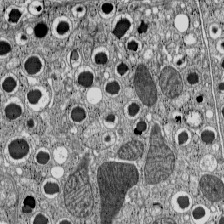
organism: C57BL Mouse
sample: Pancreatic islet